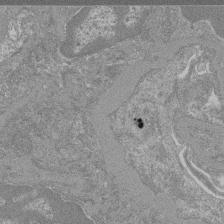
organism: Mouse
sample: Glomerulus